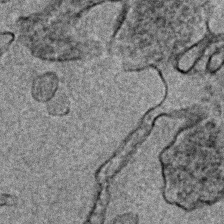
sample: Trachea